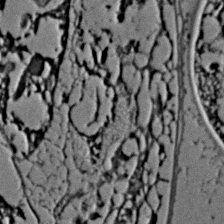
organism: C. elegans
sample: C. elegans embryo